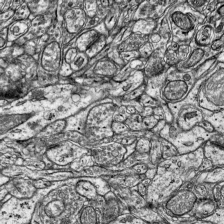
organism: Mouse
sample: Visual Cortex